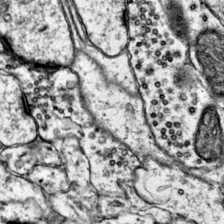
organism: Mouse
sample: Primary visual cortex